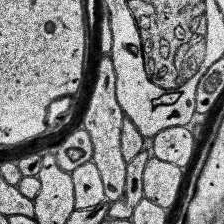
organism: Human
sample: Temporal Lobe